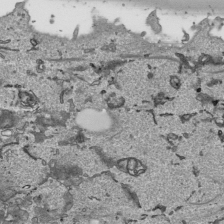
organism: Human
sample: Mitochondria in HCT116 cells